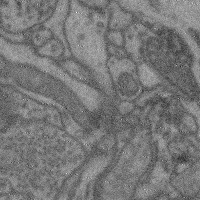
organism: Mouse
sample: Cerebral cortex